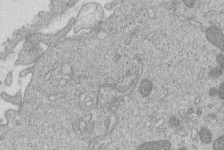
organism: Human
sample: Macrophage cells